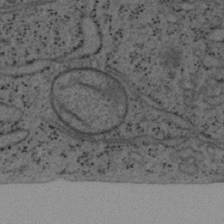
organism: Human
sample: HeLa cells